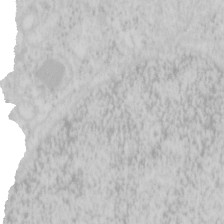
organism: Mouse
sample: Pancreas